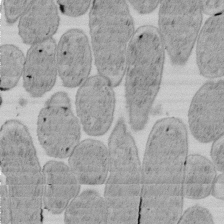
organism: E. coli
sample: Bacterial nucleoid